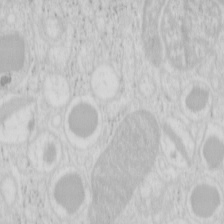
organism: Mouse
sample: Pancreas